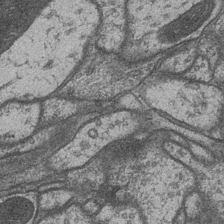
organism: Drosophila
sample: Optic medulla